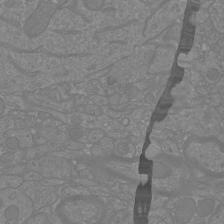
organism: Mouse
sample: Cortical neurons